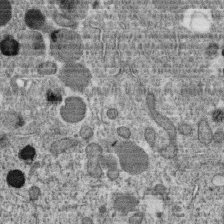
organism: C. elegans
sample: C. elegans oocyte; sperm cells